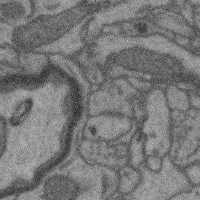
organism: Mouse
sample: Cerebral cortex